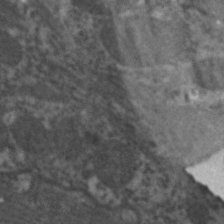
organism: C. elegans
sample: Pharynx